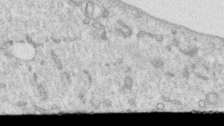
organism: Human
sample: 1205lu cells